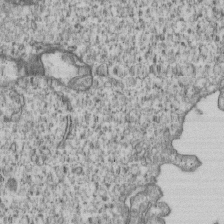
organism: Human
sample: MDA-MB-231 cells